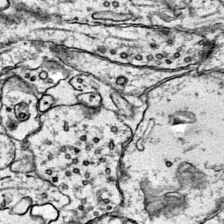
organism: Mouse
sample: Primary visual cortex